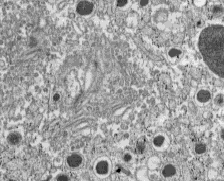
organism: C57BL Mouse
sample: Pancreatic islet